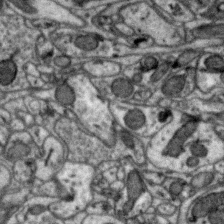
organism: Zebra finch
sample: Brain